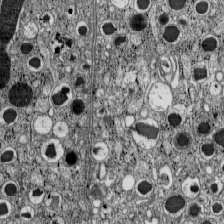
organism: C57BL Mouse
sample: Pancreatic islet